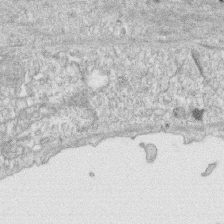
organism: Human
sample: HeLa cell HIV synapse